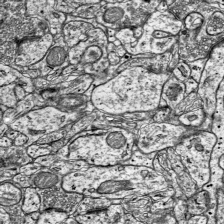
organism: Mouse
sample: Visual Cortex